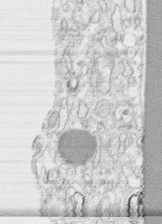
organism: Human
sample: CRL-1474